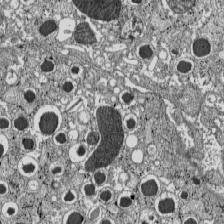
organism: C57BL Mouse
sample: Pancreatic islet